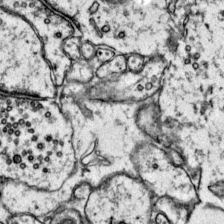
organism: Mouse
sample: Primary visual cortex